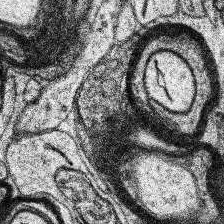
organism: Human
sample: Temporal Lobe